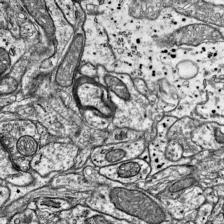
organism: Mouse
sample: Visual Cortex